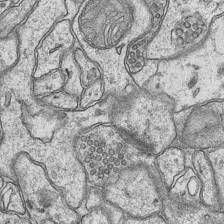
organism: Mouse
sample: CA1 Hippocampus